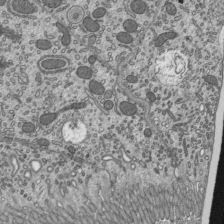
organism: Mouse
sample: Mouse epididymis efferent ductule cilia